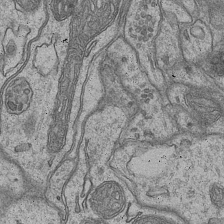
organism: Mouse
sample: CA1 Hippocampus